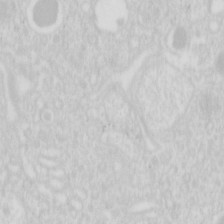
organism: Mouse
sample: Pancreas